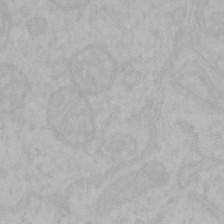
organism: Mouse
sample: Choroid plexus